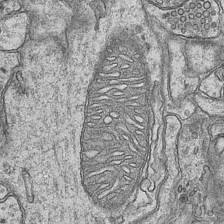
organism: Mouse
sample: CA1 Hippocampus